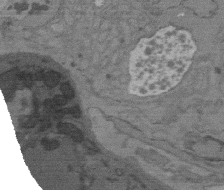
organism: C. elegans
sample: AFD neurons C. elegans